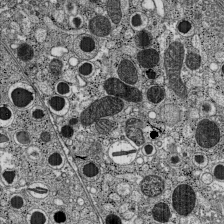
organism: C57BL Mouse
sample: Pancreatic islet